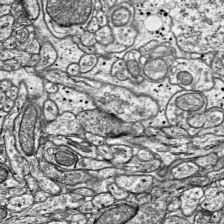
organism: Mouse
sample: Visual Cortex